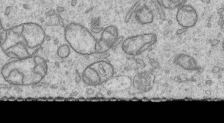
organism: Human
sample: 1205lu cells